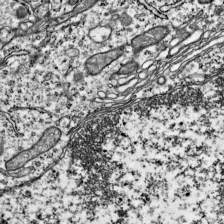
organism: Mouse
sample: Visual Cortex